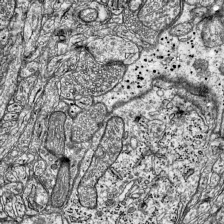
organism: Mouse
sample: Visual Cortex